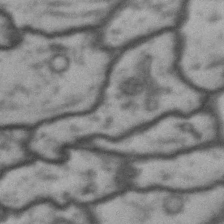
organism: Drosophila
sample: Brain